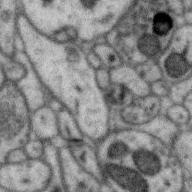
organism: Zebra finch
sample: Brain